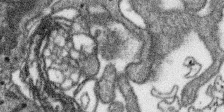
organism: Human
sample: Lung epithelial cells infected with SARS-CoV-2